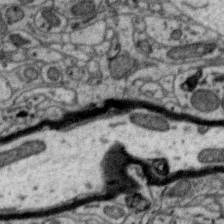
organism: Zebra finch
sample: Brain